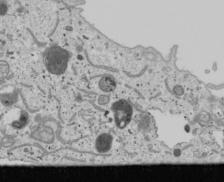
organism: Human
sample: Mitochondria in U2OS cells